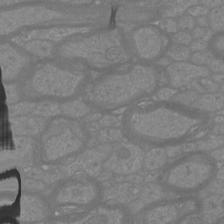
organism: Mouse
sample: Cortical neurons